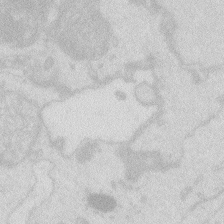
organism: Zebrafish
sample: Macrophage